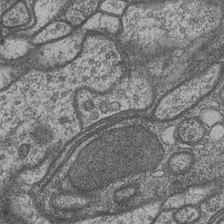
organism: Drosophila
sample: Optic medulla